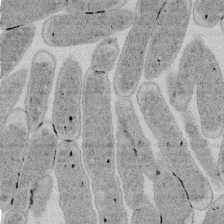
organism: E. coli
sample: Bacterial nucleoid